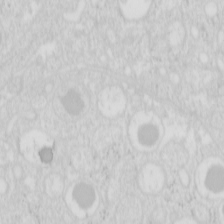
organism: Mouse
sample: Pancreas